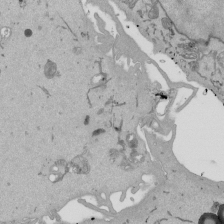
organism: Mouse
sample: ED-1 cell nuclei; centrioles